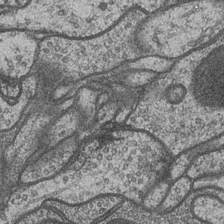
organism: Drosophila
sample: Optic medulla